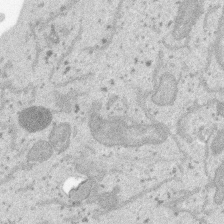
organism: Human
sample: Lung epithelial cells infected with SARS-CoV-2